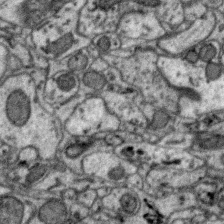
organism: Zebra finch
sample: Brain